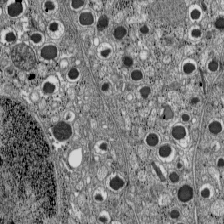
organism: C57BL Mouse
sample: Pancreatic islet